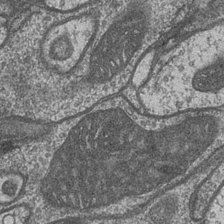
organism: Drosophila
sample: Optic medulla